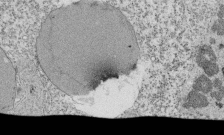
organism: Tetrahymena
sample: Cilia in tetrahymena